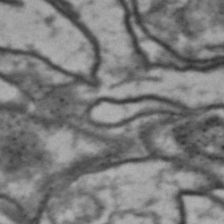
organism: Drosophila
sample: Brain